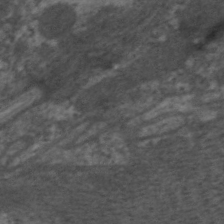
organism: C. elegans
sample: Pharynx